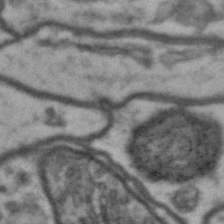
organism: Drosophila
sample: Brain